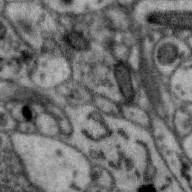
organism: Zebra finch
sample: Brain